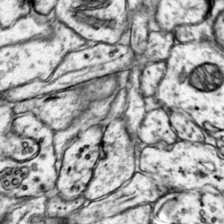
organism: Mouse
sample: Primary visual cortex